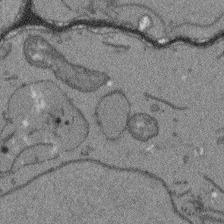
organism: Arabidopsis thaliana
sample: Root tip